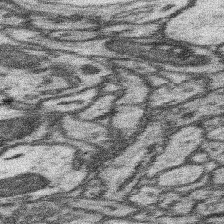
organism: Mouse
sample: Somatosensory cortex neuropil